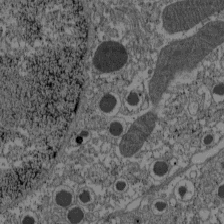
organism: C57BL Mouse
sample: Pancreatic islet